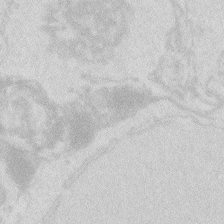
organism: Zebrafish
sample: Macrophage